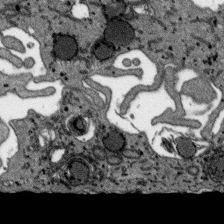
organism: Human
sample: Lung epithelial cells, uninfected (mock) control